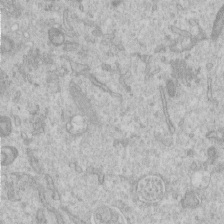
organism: Human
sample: Centriole in RPE cells